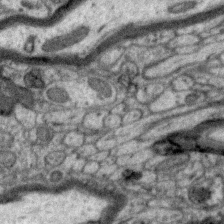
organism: Zebra finch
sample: Brain